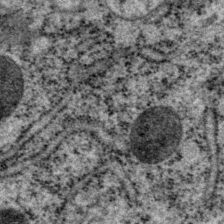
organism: P. pacificus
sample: Pharynx